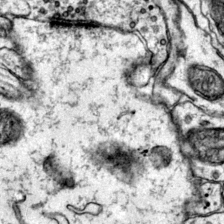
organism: Mouse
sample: Primary visual cortex